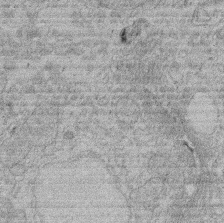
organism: Rat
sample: Salivary granule